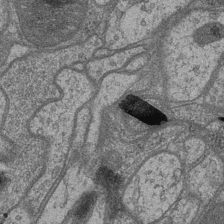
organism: Drosophila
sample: Optic medulla